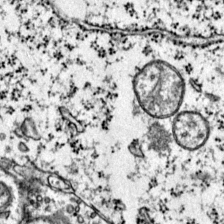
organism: Mouse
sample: Primary visual cortex